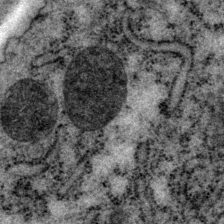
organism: P. pacificus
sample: Pharynx